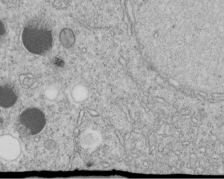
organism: C. elegans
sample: C. elegans embryo early stage